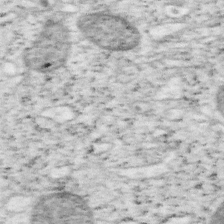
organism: Mouse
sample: OT-I killer T cells with ID8 ovarian cancer cells